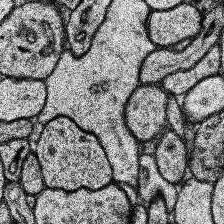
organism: Human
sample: Temporal Lobe